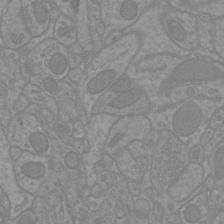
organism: Mouse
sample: Cortical neurons